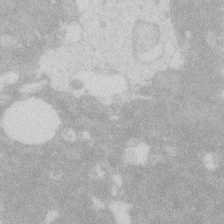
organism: Zebrafish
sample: Macrophage